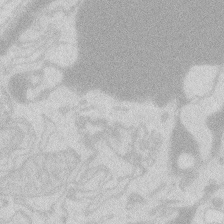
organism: Zebrafish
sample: Macrophage